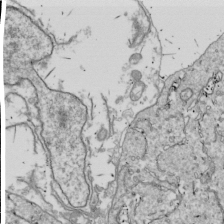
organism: Drosophila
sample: Cell division; meiosis; drosophila spermatocytes